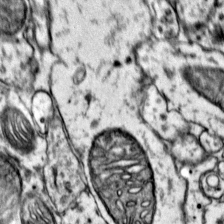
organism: Mouse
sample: Primary visual cortex